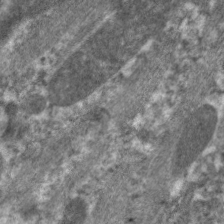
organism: C. elegans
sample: Pharynx